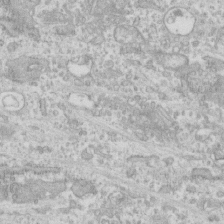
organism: Human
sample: CRL-1474